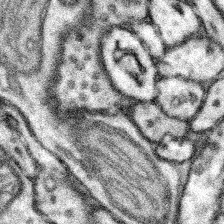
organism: Mouse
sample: Somatosensory cortex neuropil